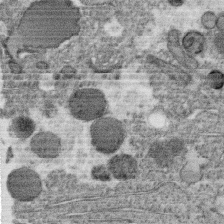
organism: C. elegans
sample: C. elegans oocyte; sperm cells